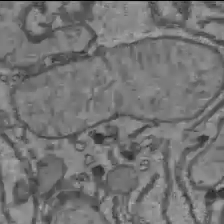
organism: C57BL Mouse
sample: Liver